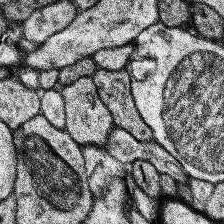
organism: Human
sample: Temporal Lobe